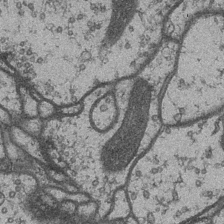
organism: Drosophila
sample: Optic medulla